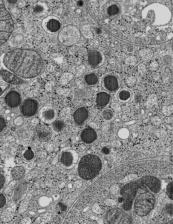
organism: C57BL Mouse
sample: Pancreatic islet